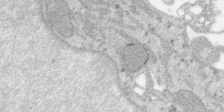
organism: Human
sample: Lung epithelial cells infected with SARS-CoV-2